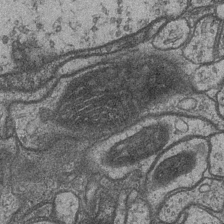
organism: Drosophila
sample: Optic medulla